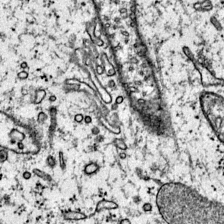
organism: Mouse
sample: Primary visual cortex